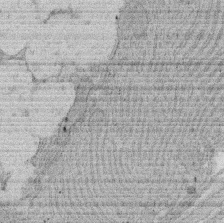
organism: Rat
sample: Salivary granule